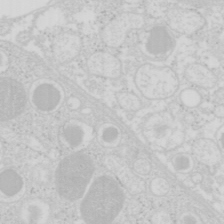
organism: Mouse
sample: Pancreas